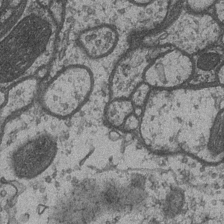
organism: Drosophila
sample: Optic medulla